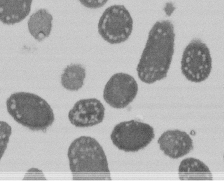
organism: E. coli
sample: Bacterial nucleoid